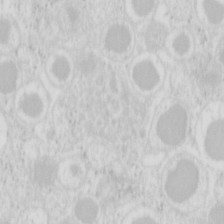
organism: Mouse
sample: Pancreas